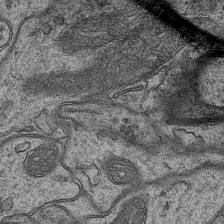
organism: Mouse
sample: CA1 Hippocampus